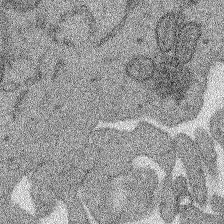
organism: Human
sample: HeLa cells